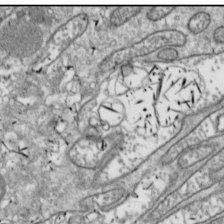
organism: Drosophila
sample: Cell division; meiosis; drosophila spermatocytes